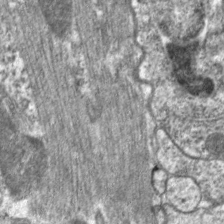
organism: C. elegans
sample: Pharynx